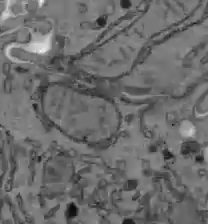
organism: C57BL Mouse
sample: Liver